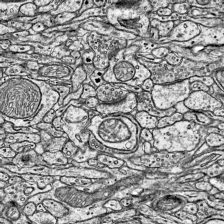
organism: Mouse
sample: Visual Cortex